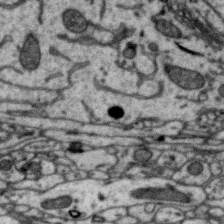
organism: Zebra finch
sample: Brain